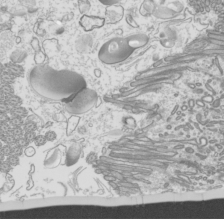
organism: Mouse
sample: Cilia; mouse epididymis